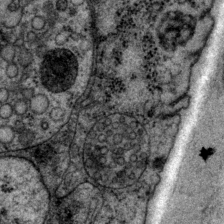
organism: P. pacificus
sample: Pharynx